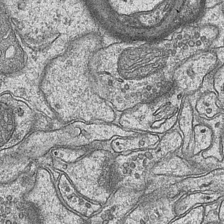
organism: Mouse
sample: CA1 Hippocampus